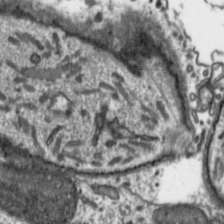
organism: Toxoplasma gondii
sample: Parasites in a vacuole inside a host cell